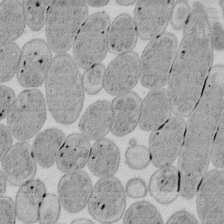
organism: E. coli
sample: Bacterial nucleoid